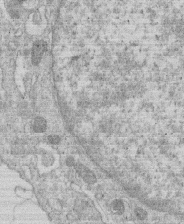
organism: Human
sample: Macrophage cells